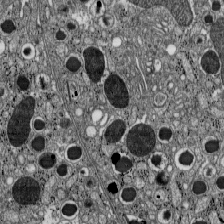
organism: C57BL Mouse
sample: Pancreatic islet